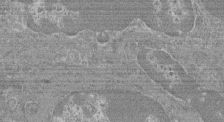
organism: Mouse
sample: Glomerulus